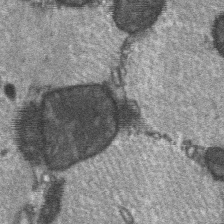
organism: C57BL Mouse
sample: Soleus